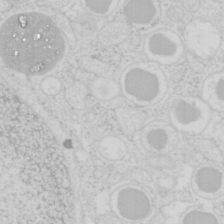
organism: Mouse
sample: Pancreas